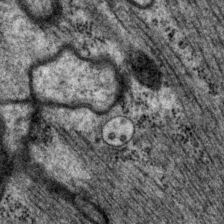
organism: P. pacificus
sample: Pharynx